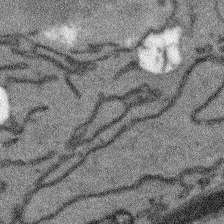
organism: Arabidopsis thaliana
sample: Root tip